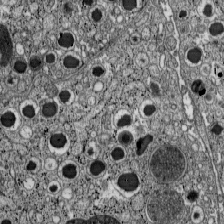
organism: C57BL Mouse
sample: Pancreatic islet